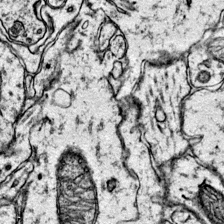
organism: Mouse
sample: Primary visual cortex